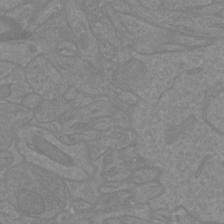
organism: Mouse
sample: Cortical neurons